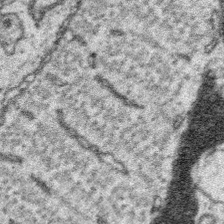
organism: Platynereis dumerilii